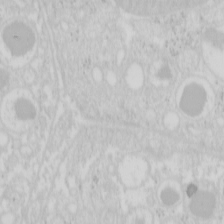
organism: Mouse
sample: Pancreas